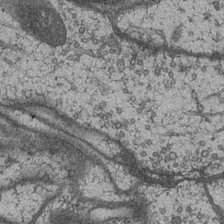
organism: Drosophila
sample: Optic medulla